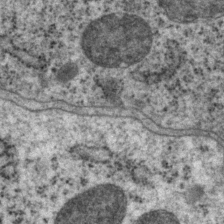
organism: P. pacificus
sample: Pharynx